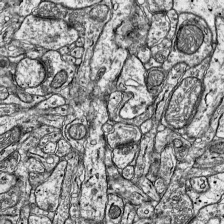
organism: Mouse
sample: Visual Cortex